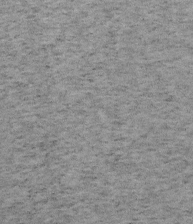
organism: Mouse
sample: OT-I killer T cells with ID8 ovarian cancer cells